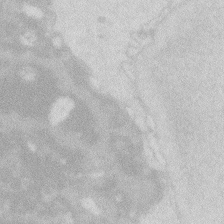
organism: Zebrafish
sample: Macrophage